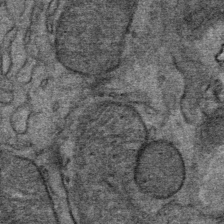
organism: Mouse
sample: Mouse Salivary gland